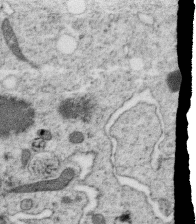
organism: C. elegans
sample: C. elegans oocyte; sperm cells